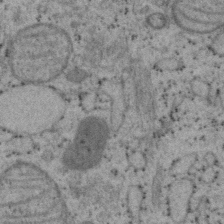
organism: Human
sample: HeLa cells